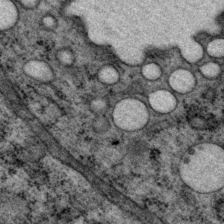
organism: P. pacificus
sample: Pharynx